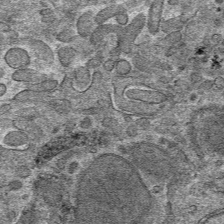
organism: Mouse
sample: Mouse hepatocytes